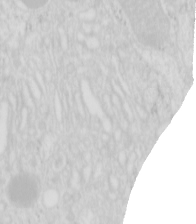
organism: Mouse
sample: Pancreas